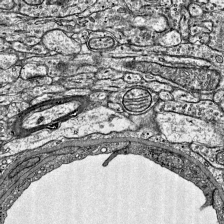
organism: Mouse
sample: Visual Cortex